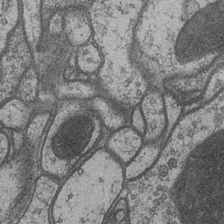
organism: Drosophila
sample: Optic medulla